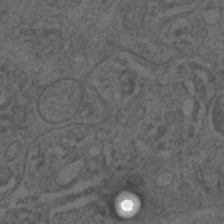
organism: C. elegans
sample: C. elegans embryo